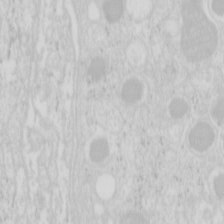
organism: Mouse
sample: Pancreas